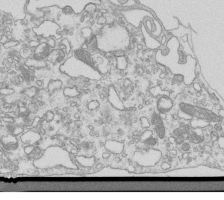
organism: Mouse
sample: Macrophages